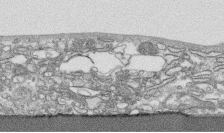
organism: Human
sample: CRL-1474